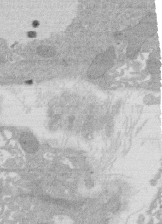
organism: Rat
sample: Salivary granule